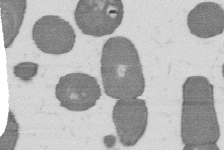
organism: B. subtilis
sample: Bacterial spore